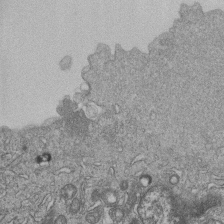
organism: Human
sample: MDA-MB-231 cells